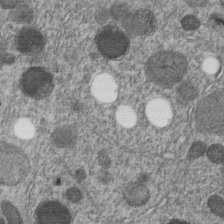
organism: C. elegans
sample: C. elegans embryo early stage